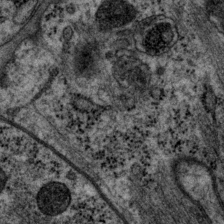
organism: P. pacificus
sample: Pharynx